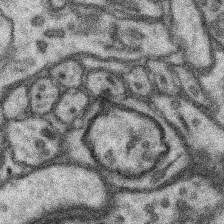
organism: Mouse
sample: Somatosensory cortex neuropil